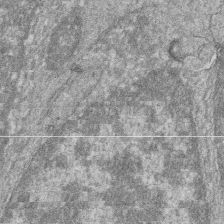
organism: Zebrafish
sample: Cilia; retinal pigment epithelium